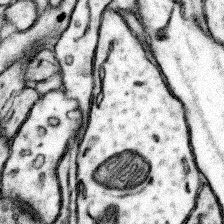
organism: Mouse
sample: Somatosensory cortex neuropil